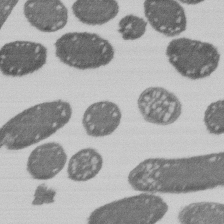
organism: E. coli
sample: Bacterial nucleoid